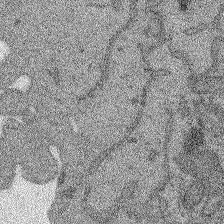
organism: Human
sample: HeLa cells